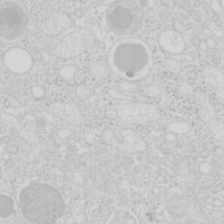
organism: Mouse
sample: Pancreas